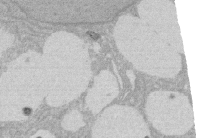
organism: Rat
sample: Salivary granule